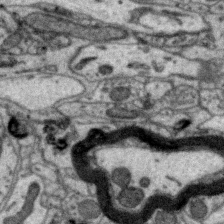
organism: Zebra finch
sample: Brain